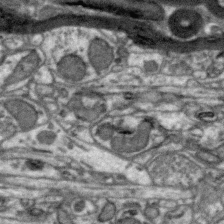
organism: Zebra finch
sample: Brain